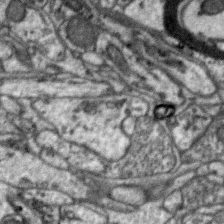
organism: Zebra finch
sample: Brain